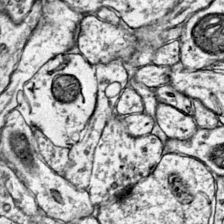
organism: Mouse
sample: Primary visual cortex